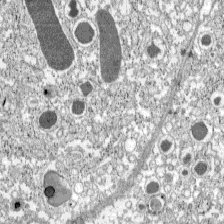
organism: C57BL Mouse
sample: Pancreatic islet